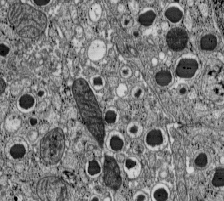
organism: C57BL Mouse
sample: Pancreatic islet